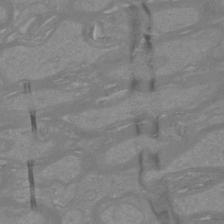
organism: Mouse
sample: Cortical neurons